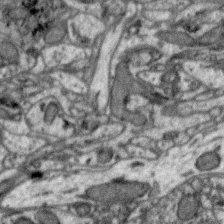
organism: Zebra finch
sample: Brain